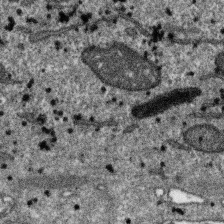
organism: Human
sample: Lung epithelial cells infected with SARS-CoV-2